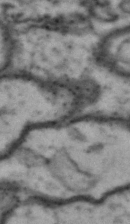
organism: Drosophila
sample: Brain